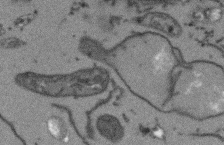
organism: Arabidopsis thaliana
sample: Root tip